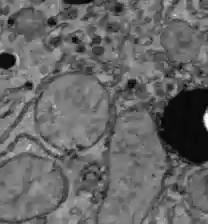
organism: C57BL Mouse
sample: Liver